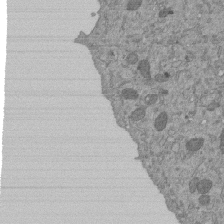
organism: Mouse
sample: ED-1 cell nuclei; centrioles